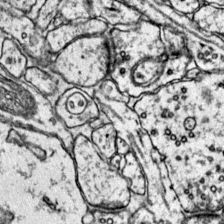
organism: Mouse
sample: Primary visual cortex